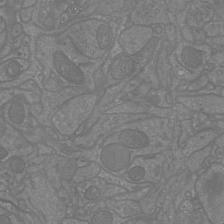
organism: Mouse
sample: Cortical neurons